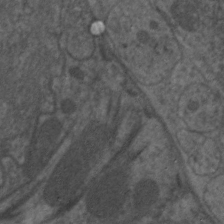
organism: C. elegans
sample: Pharynx